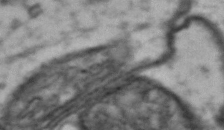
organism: Drosophila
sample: Brain